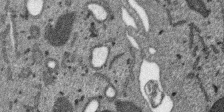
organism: Human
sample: Lung epithelial cells infected with SARS-CoV-2